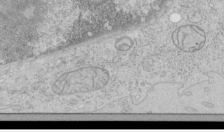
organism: Human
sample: Mitochondria in HCT116 cells